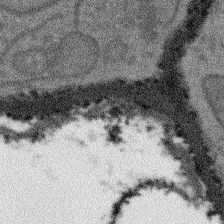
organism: Arabidopsis thaliana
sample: Root tip